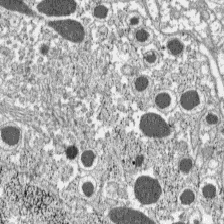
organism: C57BL Mouse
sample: Pancreatic islet